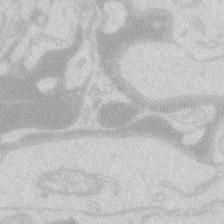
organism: Zebrafish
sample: Macrophage